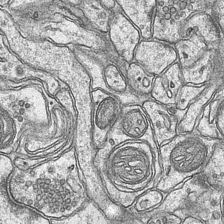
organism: Mouse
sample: CA1 Hippocampus